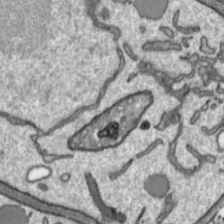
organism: Toxoplasma gondii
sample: Parasites in a vacuole inside a host cell